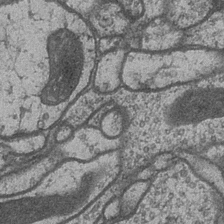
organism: Drosophila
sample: Optic medulla